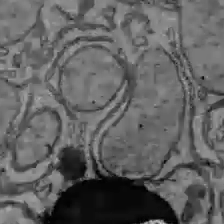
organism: C57BL Mouse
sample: Liver